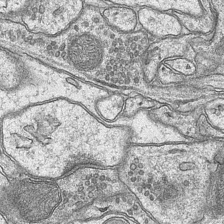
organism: Mouse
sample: CA1 Hippocampus